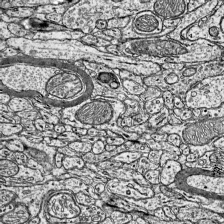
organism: Mouse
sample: Visual Cortex